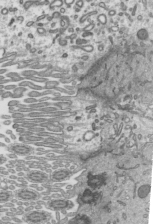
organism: Mouse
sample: Mouse epididymis efferent ductule cilia